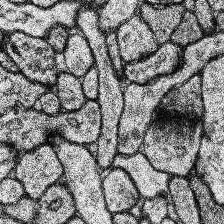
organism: Human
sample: Temporal Lobe